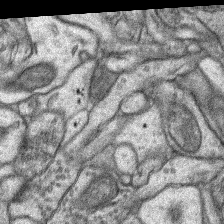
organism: Rat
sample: Hippocampus